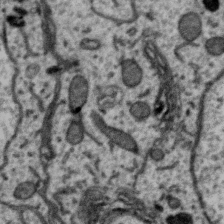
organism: Zebra finch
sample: Brain